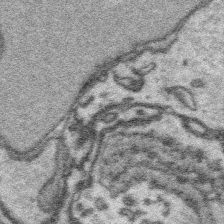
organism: Platynereis dumerilii